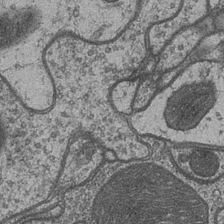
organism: Drosophila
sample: Optic medulla